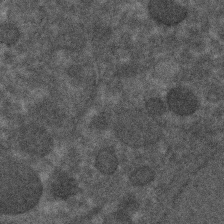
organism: C. elegans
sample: C. elegans embryo